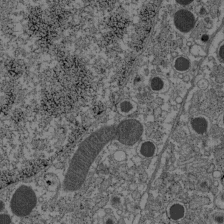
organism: C57BL Mouse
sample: Pancreatic islet